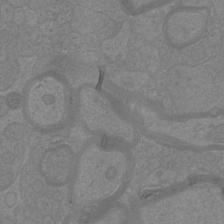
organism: Mouse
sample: Cortical neurons